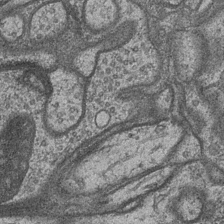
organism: Drosophila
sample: Optic medulla